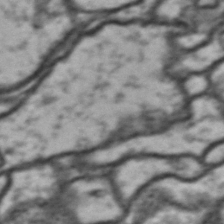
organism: Drosophila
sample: Brain